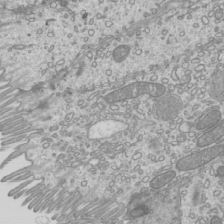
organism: Mouse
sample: Cilia; mouse epididymis